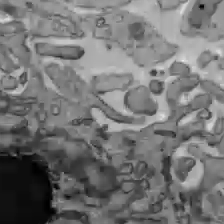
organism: C57BL Mouse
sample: Liver